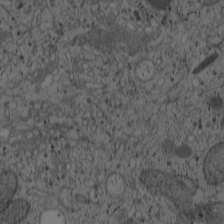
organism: African green monkey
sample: COS-7 cells